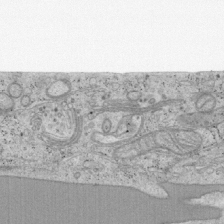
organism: Human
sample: HeLa cells